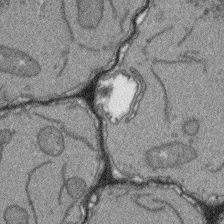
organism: Arabidopsis thaliana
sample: Root tip